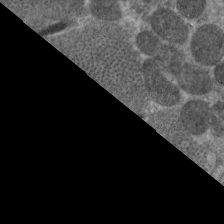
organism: C. elegans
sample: Pharynx